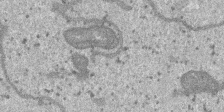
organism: Human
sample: Lung epithelial cells infected with SARS-CoV-2